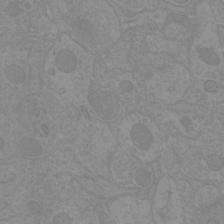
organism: Mouse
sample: Cortical neurons